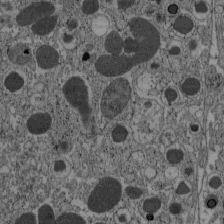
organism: C57BL Mouse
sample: Pancreatic islet